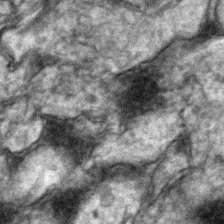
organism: Zebrafish